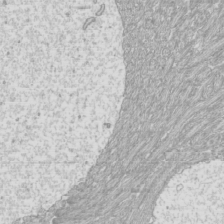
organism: Mouse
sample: Cilia; mouse epididymis